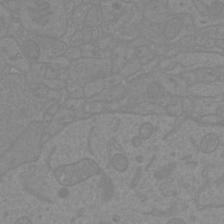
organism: Mouse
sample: Cortical neurons